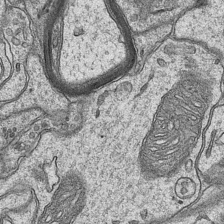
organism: Mouse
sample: CA1 Hippocampus